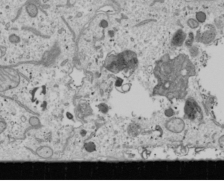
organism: Human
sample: Mitochondria in U2OS cells